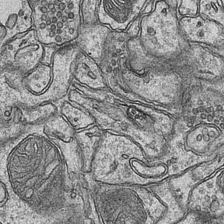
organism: Mouse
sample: CA1 Hippocampus